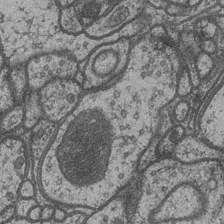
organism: Drosophila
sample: Optic medulla